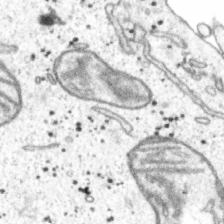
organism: Human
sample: HeLa cells